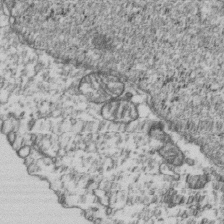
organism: Human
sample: Activated Jurkat CD4+ T cells